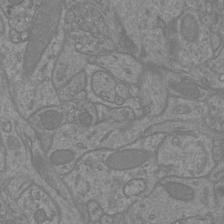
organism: Mouse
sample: Cortical neurons